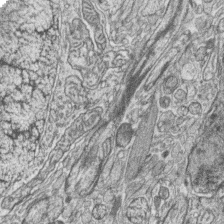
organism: Zebrafish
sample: synaptic ribbons in rod cells and cone cells